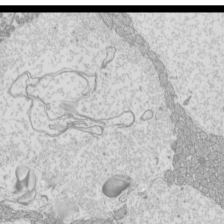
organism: Mouse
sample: Cilia; mouse epididymis